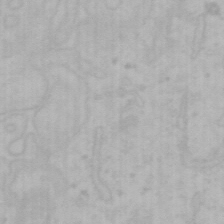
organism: Mouse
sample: Choroid plexus